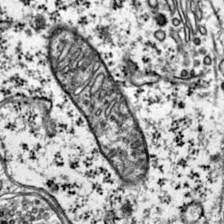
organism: Mouse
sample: Primary visual cortex